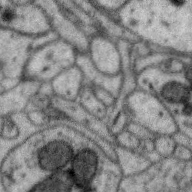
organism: Zebra finch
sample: Brain